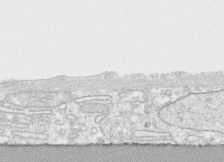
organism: Human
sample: CRL-1474